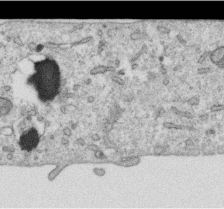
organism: Human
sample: Centriole in RPE cells